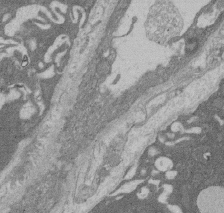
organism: Rat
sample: Salivary granule